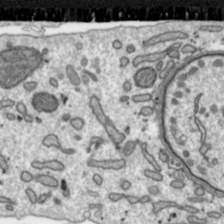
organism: Toxoplasma gondii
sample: Parasites in a vacuole inside a host cell